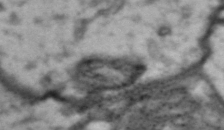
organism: Drosophila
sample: Brain